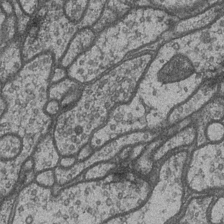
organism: Drosophila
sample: Optic medulla